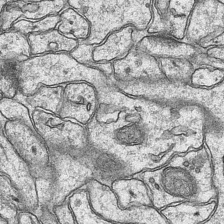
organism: Mouse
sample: CA1 Hippocampus